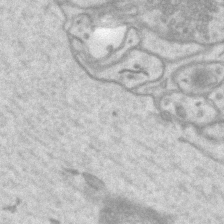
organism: Mouse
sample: CA1 Hippocampus